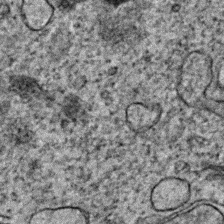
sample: Trachea